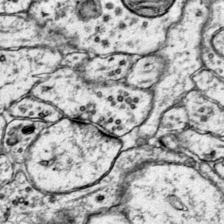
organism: Mouse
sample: Primary visual cortex